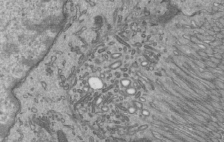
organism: Mouse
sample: Mouse epididymis efferent ductule cilia